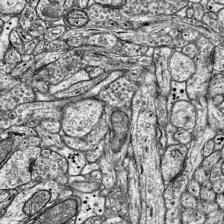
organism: Mouse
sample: Visual Cortex